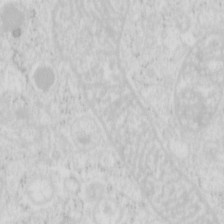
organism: Mouse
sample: Pancreas